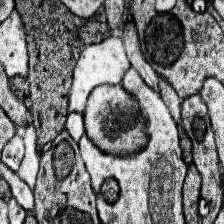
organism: Human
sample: Temporal Lobe